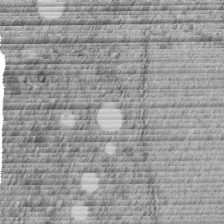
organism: C. elegans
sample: C. elegans embryo early stage